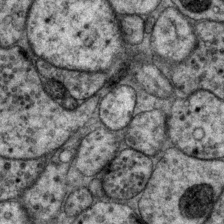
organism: P. pacificus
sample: Pharynx